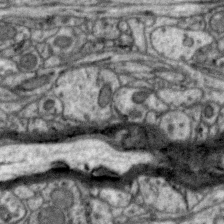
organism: Zebra finch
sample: Brain